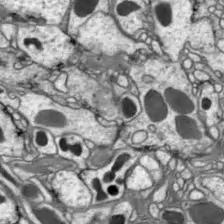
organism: Drosophila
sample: Optic lobe